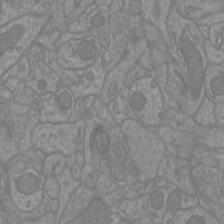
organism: Mouse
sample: Cortical neurons